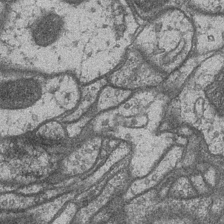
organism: Drosophila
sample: Optic medulla